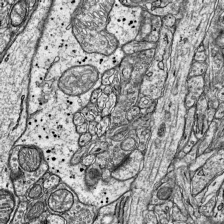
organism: Mouse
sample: Visual Cortex